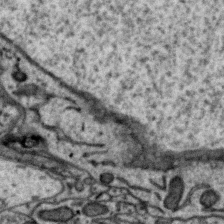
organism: Zebra finch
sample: Brain